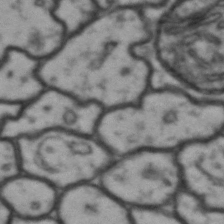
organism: Drosophila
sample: Brain